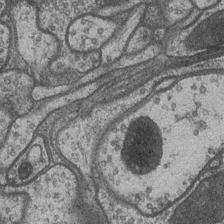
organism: Drosophila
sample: Optic medulla